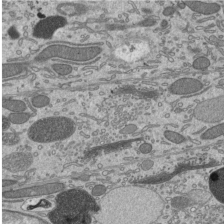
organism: Mouse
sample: Mouse epididymis efferent ductule cilia